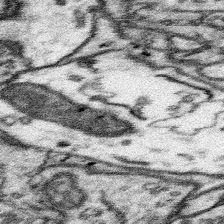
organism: Mouse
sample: Somatosensory cortex neuropil